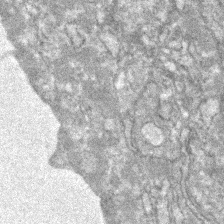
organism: Zebrafish